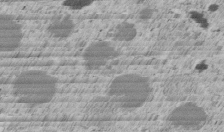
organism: C. elegans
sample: C. elegans embryo early stage